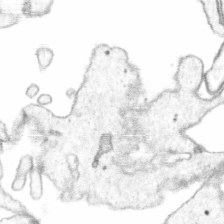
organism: Human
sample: HeLa cells